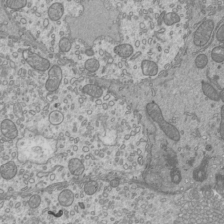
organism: Mouse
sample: Cilia; mouse epididymis